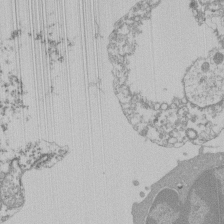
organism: Mouse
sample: Activated Pmel transgenic CD8+ T Cells